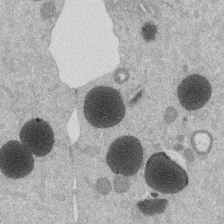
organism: Mouse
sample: Dividing mouse embryo 1 cell stage